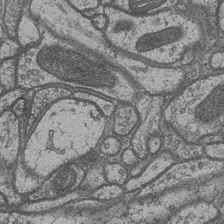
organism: Drosophila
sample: Optic medulla